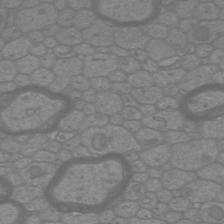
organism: Mouse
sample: Cortical neurons